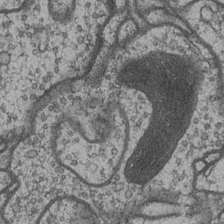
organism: Drosophila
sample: Optic medulla